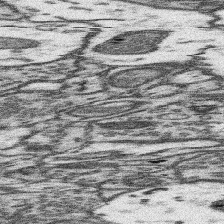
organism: Mouse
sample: Somatosensory cortex neuropil